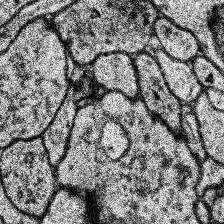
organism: Human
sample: Temporal Lobe